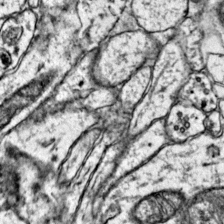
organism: Mouse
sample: Primary visual cortex